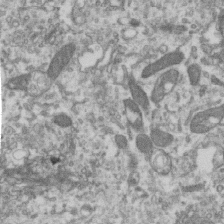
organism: Human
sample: Centriole in RPE cells